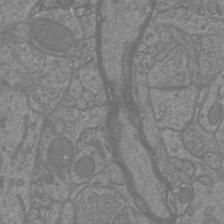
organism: Mouse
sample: Cortical neurons